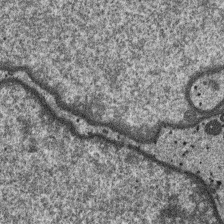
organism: Human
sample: Lung epithelial cells infected with SARS-CoV-2